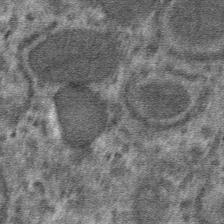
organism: Mouse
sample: Mouse hepatocytes